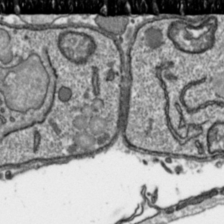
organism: Toxoplasma gondii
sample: Parasites in a vacuole inside a host cell